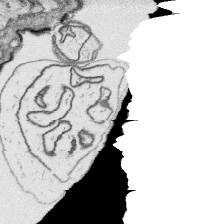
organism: Platynereis dumerilii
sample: Parapodia